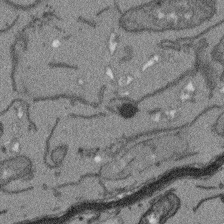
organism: Arabidopsis thaliana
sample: Root tip